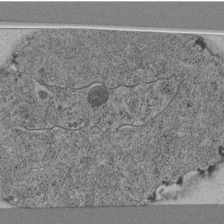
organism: C. elegans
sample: C. elegans pharynx